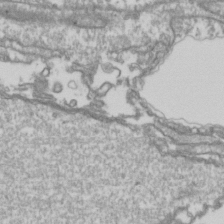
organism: Drosophila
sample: Cell division; meiosis; drosophila spermatocytes